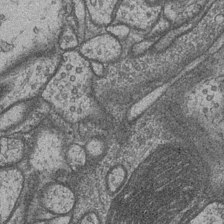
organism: Drosophila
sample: Optic medulla